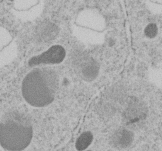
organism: C. elegans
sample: C. elegans embryo early stage